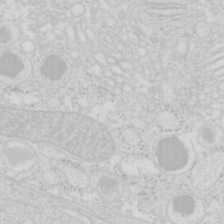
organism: Mouse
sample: Pancreas